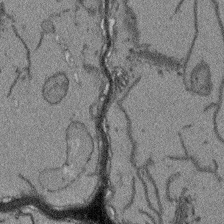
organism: Arabidopsis thaliana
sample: Root tip